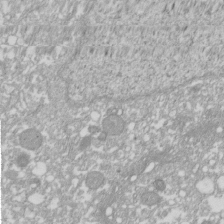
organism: Xenopus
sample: Cilia; centrioles in frog embryo cells